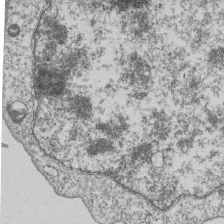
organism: Human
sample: MDA-MB-231 cells